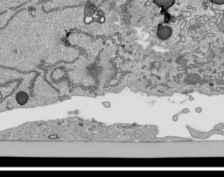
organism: Human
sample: Mitochondria in HCT116 cells